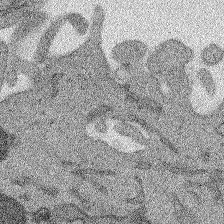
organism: Human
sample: HeLa cells